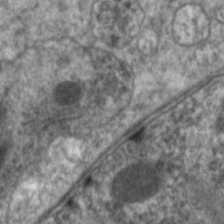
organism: C. elegans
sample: Pharynx